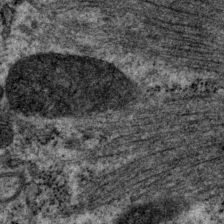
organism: P. pacificus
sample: Pharynx